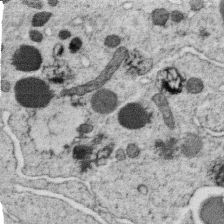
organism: C. elegans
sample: C. elegans oocyte; sperm cells